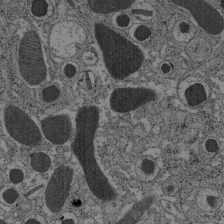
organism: C57BL Mouse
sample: Pancreatic islet